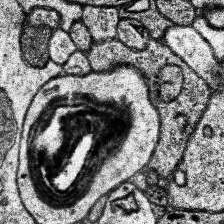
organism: Human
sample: Temporal Lobe